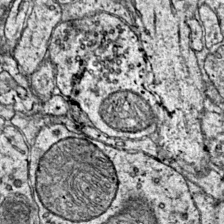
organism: Mouse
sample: Primary visual cortex